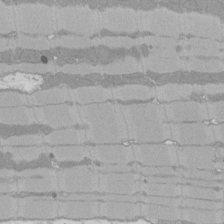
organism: Rat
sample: Left ventricle